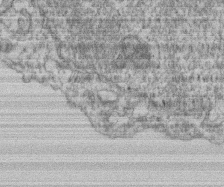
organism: Mouse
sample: T cell stromal cell synapse